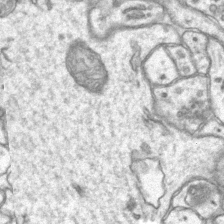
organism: Mouse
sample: CA1 Hippocampus